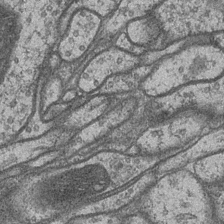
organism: Drosophila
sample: Optic medulla